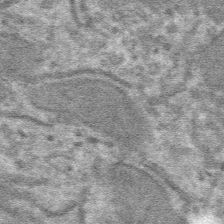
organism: Mouse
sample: Mouse hepatocytes